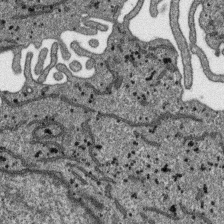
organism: Human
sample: Lung epithelial cells infected with SARS-CoV-2